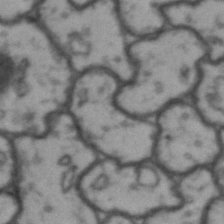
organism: Drosophila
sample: Brain